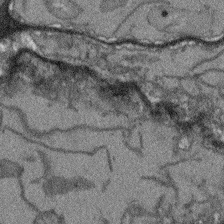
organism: Arabidopsis thaliana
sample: Root tip